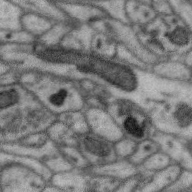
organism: Zebra finch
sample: Brain